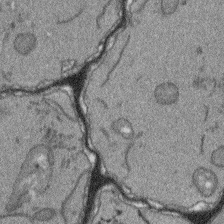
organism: Arabidopsis thaliana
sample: Root tip